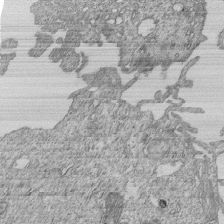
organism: Human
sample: MDA-MB-231 cells